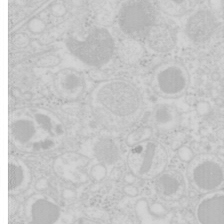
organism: Mouse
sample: Pancreas